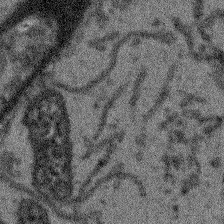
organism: Arabidopsis thaliana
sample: Root tip